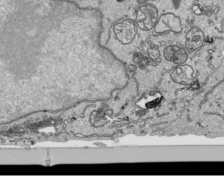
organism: Human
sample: Mitochondria in HCT116 cells